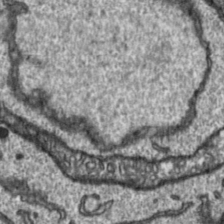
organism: Toxoplasma gondii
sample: Parasites in a vacuole inside a host cell